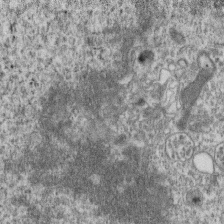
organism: Mouse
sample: Centriole in ependymal cells